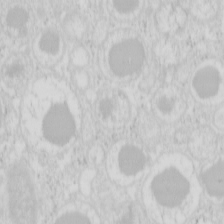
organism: Mouse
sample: Pancreas